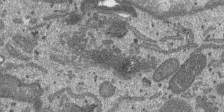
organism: Human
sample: Lung epithelial cells infected with SARS-CoV-2